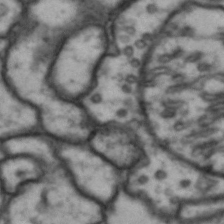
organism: Drosophila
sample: Brain